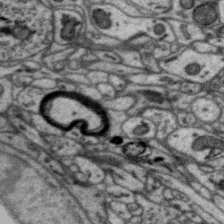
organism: Zebra finch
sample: Brain